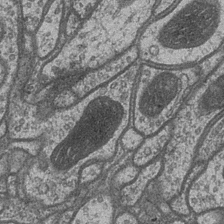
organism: Drosophila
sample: Optic medulla